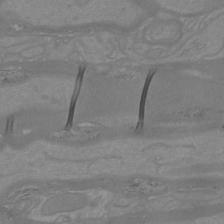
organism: Mouse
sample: Cortical neurons